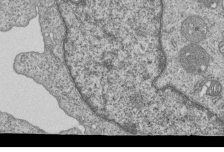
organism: Human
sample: MDA-MB-231 cells